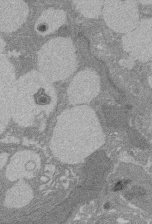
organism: Rat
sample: Salivary granule